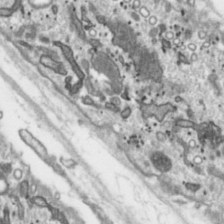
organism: Toxoplasma gondii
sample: Parasites in a vacuole inside a host cell